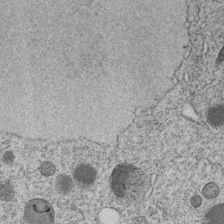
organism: C. elegans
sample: C. elegans embryo early stage